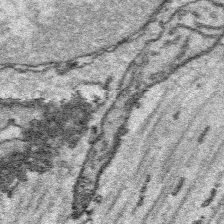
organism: Platynereis dumerilii